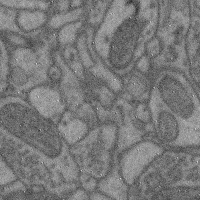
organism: Mouse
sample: Cerebral cortex